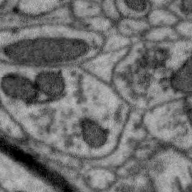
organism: Zebra finch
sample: Brain